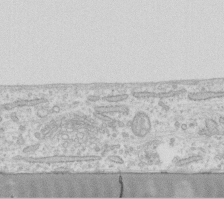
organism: Human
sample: Fibroblast cells